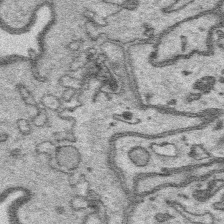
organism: Platynereis dumerilii